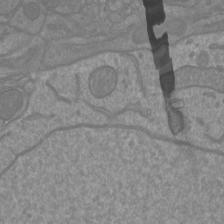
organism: Mouse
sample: Cortical neurons